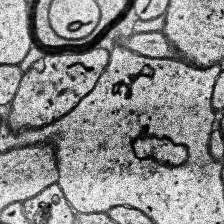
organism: Human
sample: Temporal Lobe